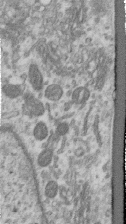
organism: Human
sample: Centriole in RPE cells